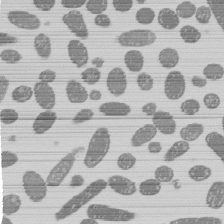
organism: E. coli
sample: Bacterial nucleoid